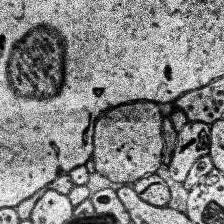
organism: Human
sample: Temporal Lobe